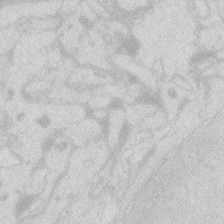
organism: Zebrafish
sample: Macrophage